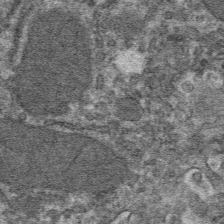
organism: Mouse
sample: Mouse hepatocytes